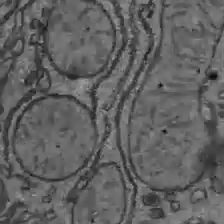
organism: C57BL Mouse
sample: Liver